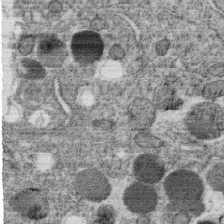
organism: C. elegans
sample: C. elegans oocyte; sperm cells